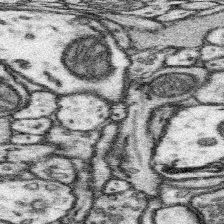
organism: Mouse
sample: Somatosensory cortex neuropil